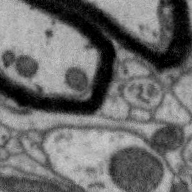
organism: Zebra finch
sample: Brain